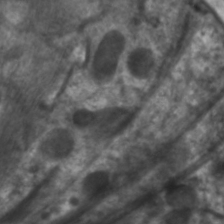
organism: C. elegans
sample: Pharynx